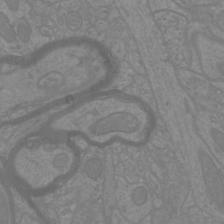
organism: Mouse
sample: Cortical neurons